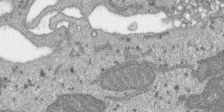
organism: Human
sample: Lung epithelial cells infected with SARS-CoV-2